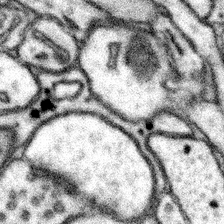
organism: Mouse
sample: Somatosensory cortex neuropil